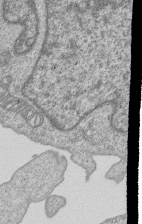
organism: Human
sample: MDA-MB-231 cells